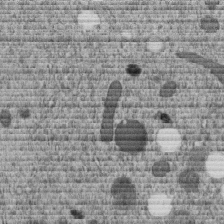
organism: C. elegans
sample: C. elegans embryo early stage